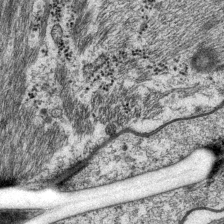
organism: P. pacificus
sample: Pharynx